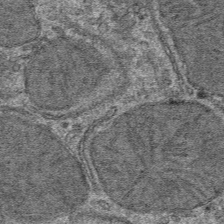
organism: Mouse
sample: Mouse hepatocytes